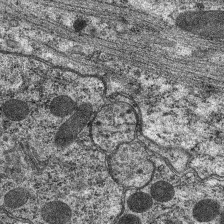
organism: C. elegans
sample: Pharynx